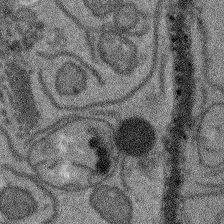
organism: Arabidopsis thaliana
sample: Root tip